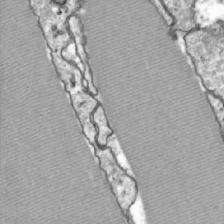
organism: Zebrafish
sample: Actinotrichia fibers